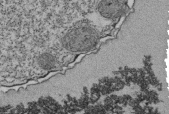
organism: Tetrahymena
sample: Cilia in tetrahymena